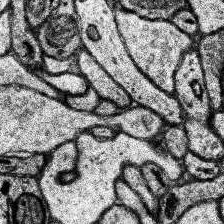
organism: Human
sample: Temporal Lobe